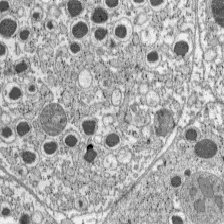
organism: C57BL Mouse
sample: Pancreatic islet